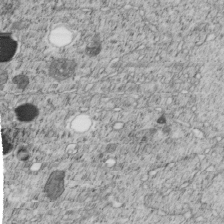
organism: C. elegans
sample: C. elegans embryo early stage